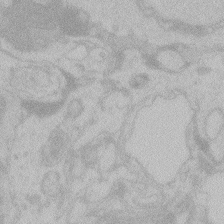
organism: Zebrafish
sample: Macrophage infected with Toxoplasma gondii